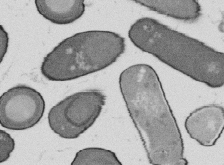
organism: B. subtilis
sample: Bacterial spore